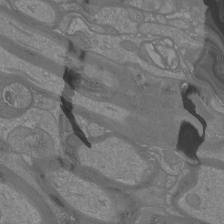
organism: Mouse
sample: Cortical neurons